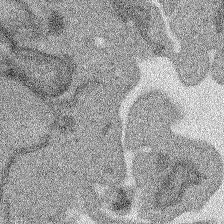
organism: Human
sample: HeLa cells